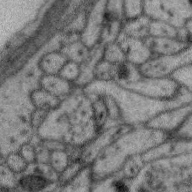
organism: Zebra finch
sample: Brain